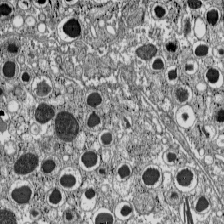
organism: C57BL Mouse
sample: Pancreatic islet